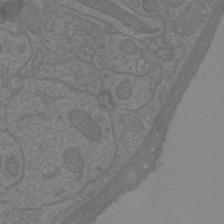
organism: Mouse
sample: Cortical neurons